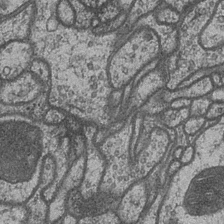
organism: Drosophila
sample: Optic medulla